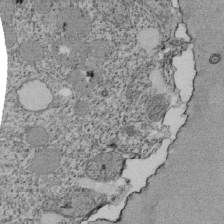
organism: Tetrahymena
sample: Cilia in tetrahymena